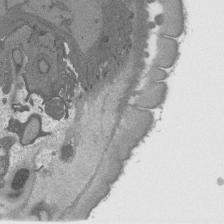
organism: C. elegans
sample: AFD neurons C. elegans